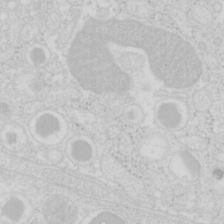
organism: Mouse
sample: Pancreas